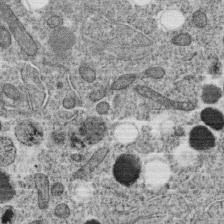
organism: C. elegans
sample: C. elegans oocyte; sperm cells